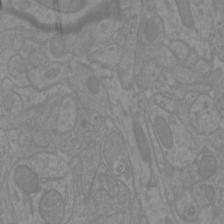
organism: Mouse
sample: Cortical neurons